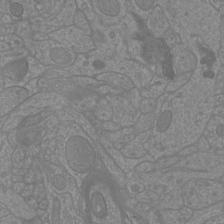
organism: Mouse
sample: Cortical neurons